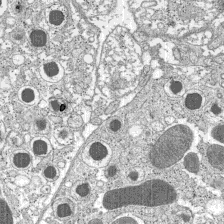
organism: C57BL Mouse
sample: Pancreatic islet